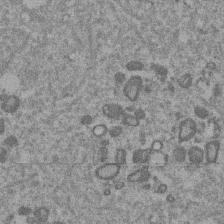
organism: Mouse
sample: Dividing mouse embryo 1 cell stage